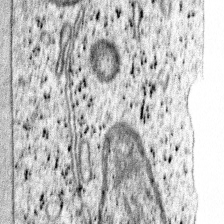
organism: Human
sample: HeLa cells